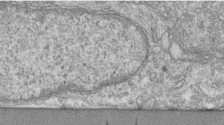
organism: Human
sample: Centriole in fibroblast cells